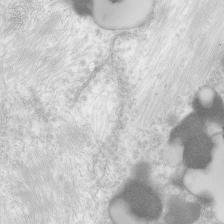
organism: Human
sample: Neocortex